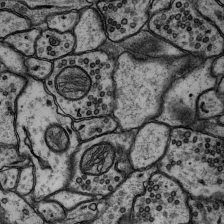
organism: Rat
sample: Hippocampus